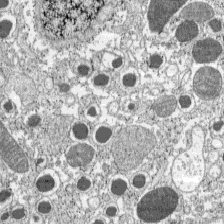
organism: C57BL Mouse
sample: Pancreatic islet